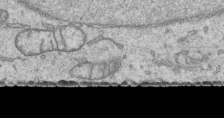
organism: Human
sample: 1205lu cells